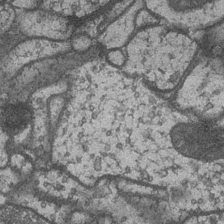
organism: Drosophila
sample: Optic medulla